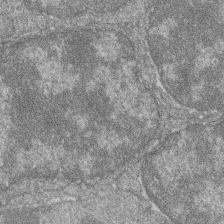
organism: Zebrafish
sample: Cilia; retinal pigment epithelium